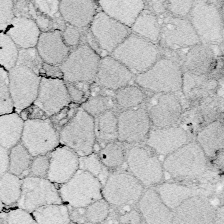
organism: Zebrafish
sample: Whole-Brain